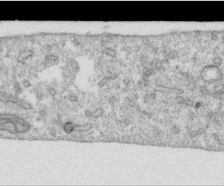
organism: Human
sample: Centriole in RPE cells